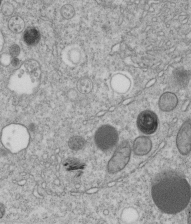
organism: C. elegans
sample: C. elegans embryo early stage